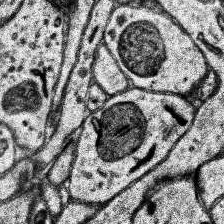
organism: Human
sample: Temporal Lobe